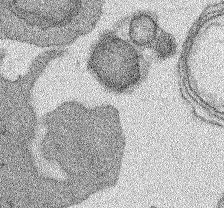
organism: Human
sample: HeLa cells